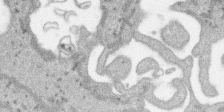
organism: Human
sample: Lung epithelial cells infected with SARS-CoV-2